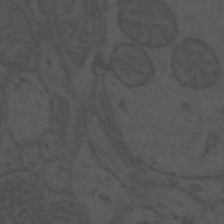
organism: Mouse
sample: Suprachiasmatic nucleus